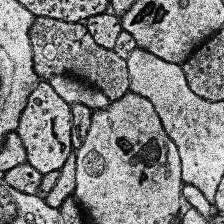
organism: Human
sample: Temporal Lobe